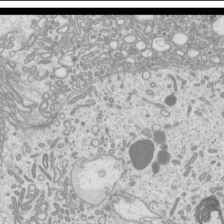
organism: Mouse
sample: Cilia; mouse epididymis